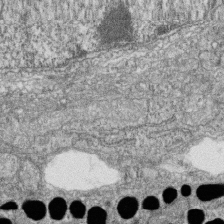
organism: Zebrafish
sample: Cilia; retinal pigment epithelium